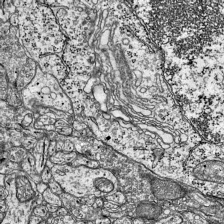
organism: Mouse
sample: Visual Cortex